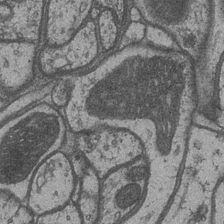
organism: Drosophila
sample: Optic medulla